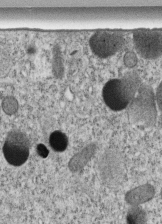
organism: C. elegans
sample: C. elegans embryo early stage